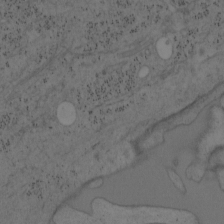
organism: Mouse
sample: OT-I killer T cells with ID8 ovarian cancer cells